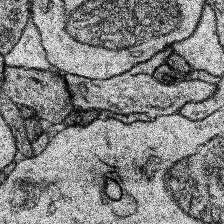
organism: Human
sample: Temporal Lobe